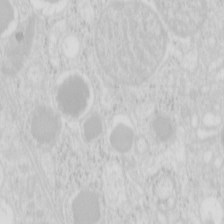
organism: Mouse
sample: Pancreas